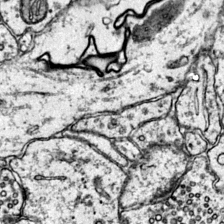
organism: Mouse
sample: Primary visual cortex